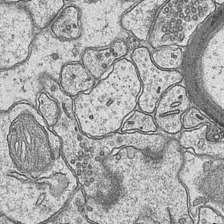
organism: Mouse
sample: CA1 Hippocampus